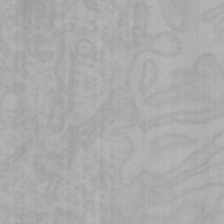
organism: Mouse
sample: Choroid plexus